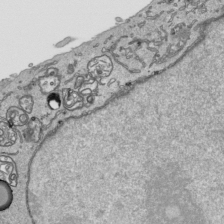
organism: Human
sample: Mitochondria in HCT116 cells